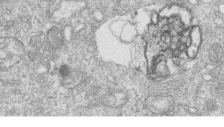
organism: Human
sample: HeLa cell HIV synapse